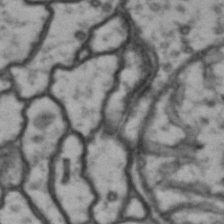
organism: Drosophila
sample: Brain